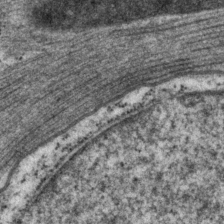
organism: P. pacificus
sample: Pharynx